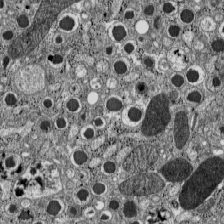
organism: C57BL Mouse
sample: Pancreatic islet